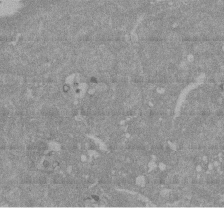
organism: Mouse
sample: ED-1 cell nuclei; centrioles